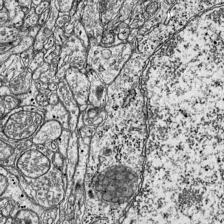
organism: Mouse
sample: Visual Cortex